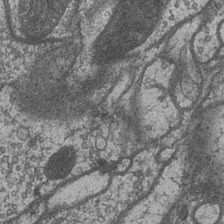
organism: Drosophila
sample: Optic medulla